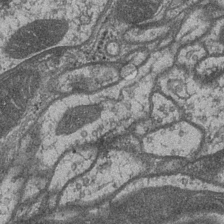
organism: Drosophila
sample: Optic medulla